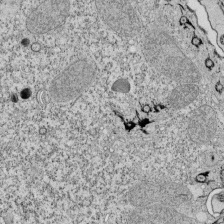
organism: Tetrahymena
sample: Cilia in tetrahymena